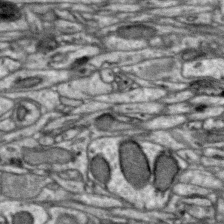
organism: Zebra finch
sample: Brain